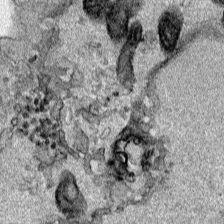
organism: Human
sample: Mitochondria in HCT116 cells